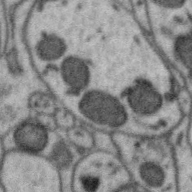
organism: Zebra finch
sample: Brain